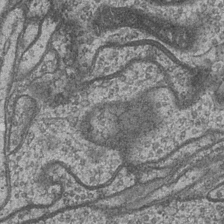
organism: Drosophila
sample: Optic medulla